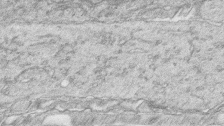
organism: Zebrafish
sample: synaptic ribbons in rod cells and cone cells